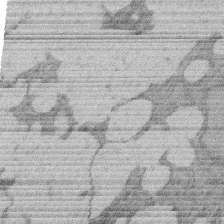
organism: Rat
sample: Salivary granule